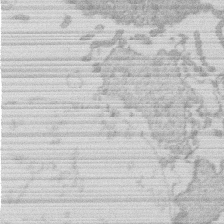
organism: Human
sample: Macrophage cells